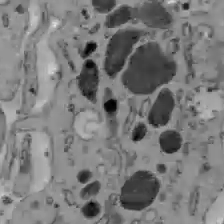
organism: C57BL Mouse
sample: Liver